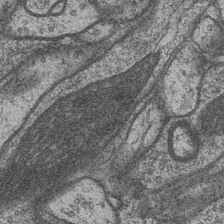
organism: Drosophila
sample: Optic medulla